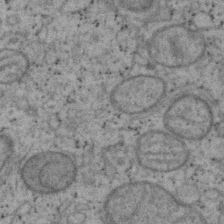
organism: Human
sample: HeLa cells